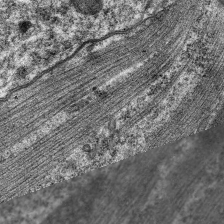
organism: C. elegans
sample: Pharynx